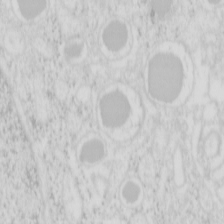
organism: Mouse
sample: Pancreas